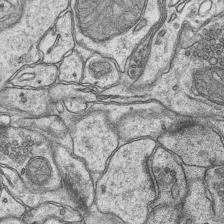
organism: Mouse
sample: CA1 Hippocampus